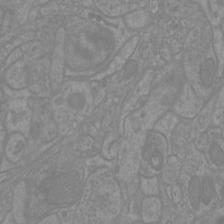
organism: Mouse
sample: Cortical neurons